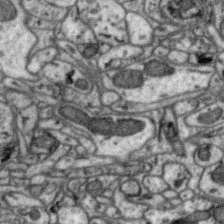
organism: Zebra finch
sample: Brain